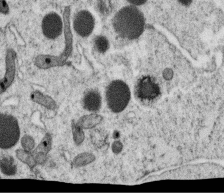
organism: C. elegans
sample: C. elegans oocyte; sperm cells